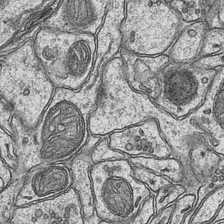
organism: Mouse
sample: CA1 Hippocampus